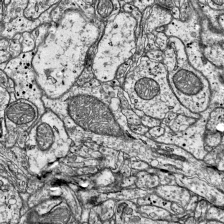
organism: Mouse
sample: Visual Cortex